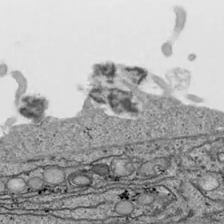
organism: Human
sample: HeLa cells